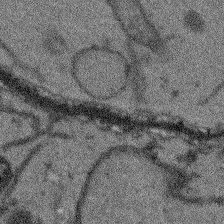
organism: Arabidopsis thaliana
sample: Root tip